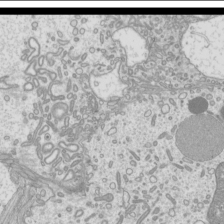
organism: Mouse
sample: Cilia; mouse epididymis